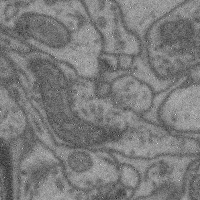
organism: Mouse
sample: Cerebral cortex